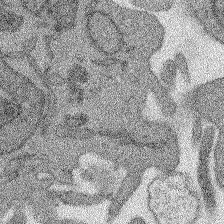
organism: Human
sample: HeLa cells